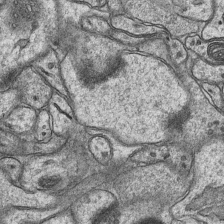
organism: Mouse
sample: CA1 Hippocampus